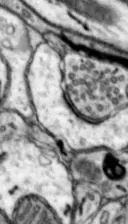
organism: Mouse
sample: Nucleus accumbens